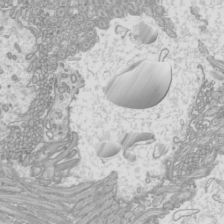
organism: Mouse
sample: Cilia; mouse epididymis